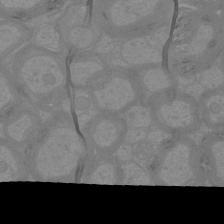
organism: Mouse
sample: Cortical neurons